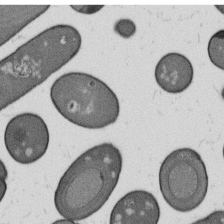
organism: B. subtilis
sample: Bacterial spore